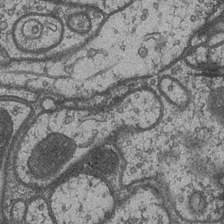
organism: Drosophila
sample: Optic medulla